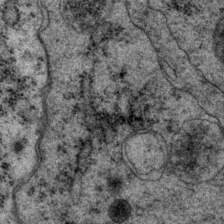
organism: P. pacificus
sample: Pharynx